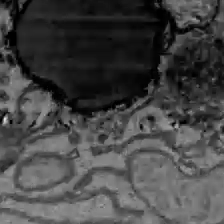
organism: C57BL Mouse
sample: Liver